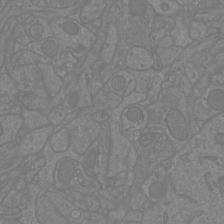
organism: Mouse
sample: Cortical neurons